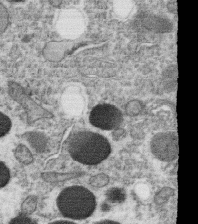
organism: C. elegans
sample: C. elegans oocyte; sperm cells